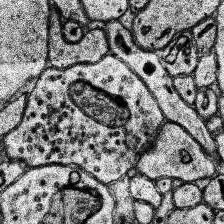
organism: Human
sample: Temporal Lobe